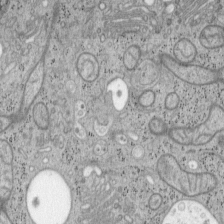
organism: Mouse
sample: OT-I killer T cells with ID8 ovarian cancer cells